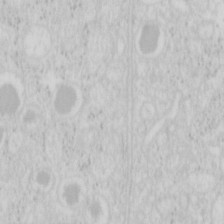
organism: Mouse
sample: Pancreas